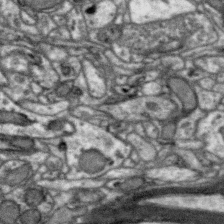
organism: Zebra finch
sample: Brain